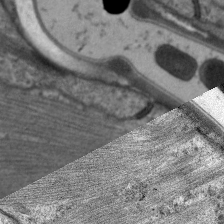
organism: C. elegans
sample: Pharynx